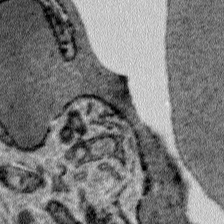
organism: Plasmodium falciparum